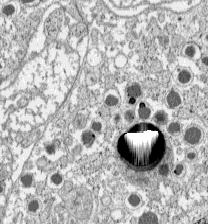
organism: C57BL Mouse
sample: Pancreatic islet